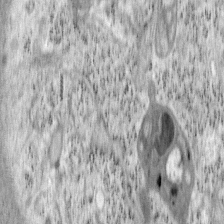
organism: Human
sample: HeLa cells